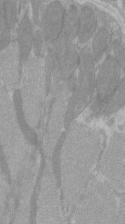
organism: C57BL Mouse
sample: Tibialis anterior muscle cell